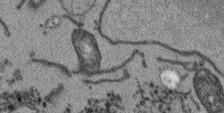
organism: Arabidopsis thaliana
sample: Root tip